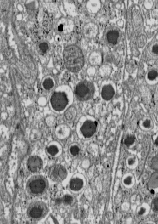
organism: C57BL Mouse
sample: Pancreatic islet